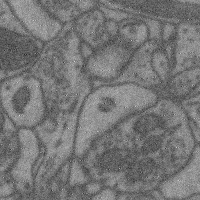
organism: Mouse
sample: Cerebral cortex